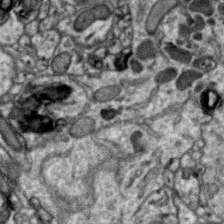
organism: Zebra finch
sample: Brain